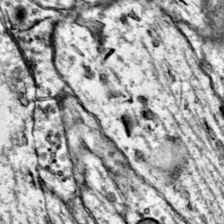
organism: Mouse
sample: Primary visual cortex